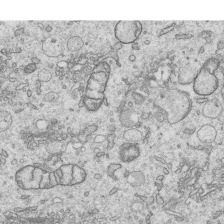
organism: Human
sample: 1205lu cells